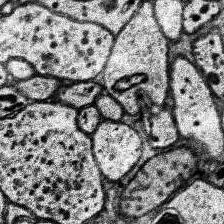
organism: Human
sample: Temporal Lobe